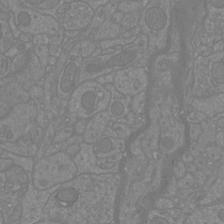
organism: Mouse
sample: Cortical neurons